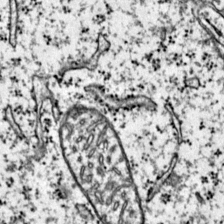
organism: Mouse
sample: Primary visual cortex